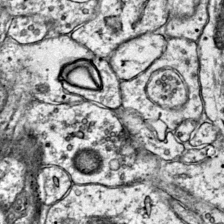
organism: Mouse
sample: Primary visual cortex